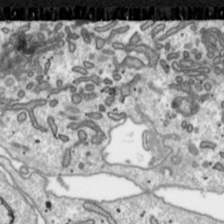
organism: Toxoplasma gondii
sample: Parasites in a vacuole inside a host cell